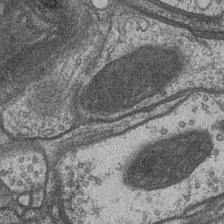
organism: Drosophila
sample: Optic medulla